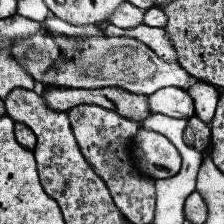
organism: Human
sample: Temporal Lobe